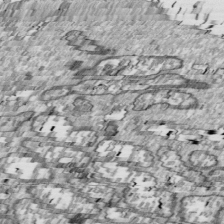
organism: Drosophila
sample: Cell division; meiosis; drosophila spermatocytes